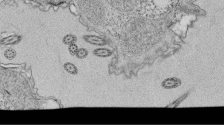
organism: Tetrahymena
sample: Cilia in tetrahymena